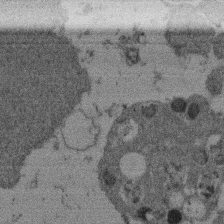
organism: Mouse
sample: Dividing mouse embryo 1 cell stage